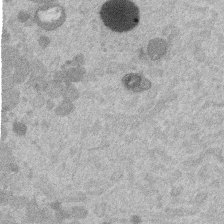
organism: Mouse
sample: Dividing mouse embryo 1 cell stage